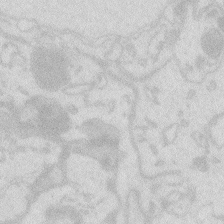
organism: Zebrafish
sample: Macrophage